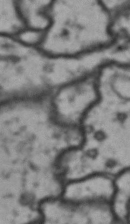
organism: Drosophila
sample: Brain